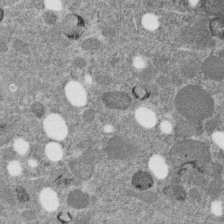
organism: C. elegans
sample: C. elegans embryo early stage